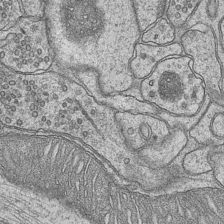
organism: Mouse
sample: CA1 Hippocampus